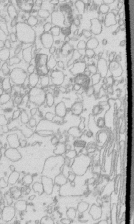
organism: Mouse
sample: Macrophages